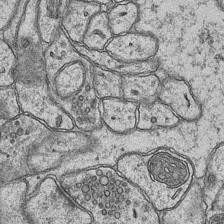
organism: Mouse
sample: CA1 Hippocampus